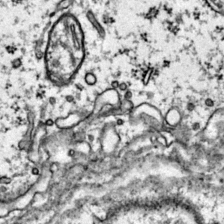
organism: Mouse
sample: Primary visual cortex